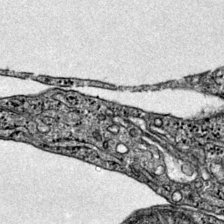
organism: Mouse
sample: Primary visual cortex